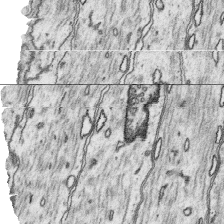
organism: Platynereis dumerilii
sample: Parapodia